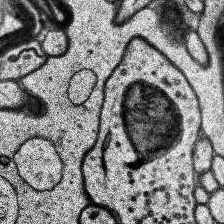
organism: Human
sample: Temporal Lobe